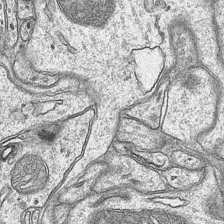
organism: Mouse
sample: CA1 Hippocampus